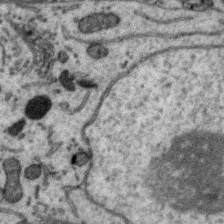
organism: Zebra finch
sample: Brain